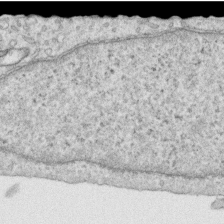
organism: Human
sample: Centriole in RPE cells